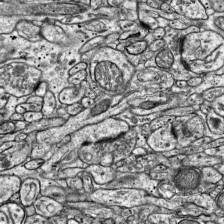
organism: Mouse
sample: Visual Cortex